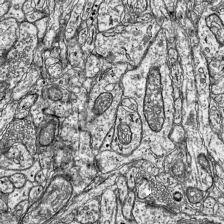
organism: Mouse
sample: Visual Cortex